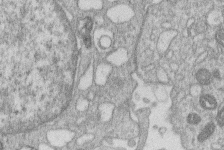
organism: Human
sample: Macrophage cells